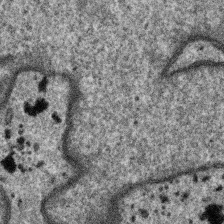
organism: Human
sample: Lung epithelial cells infected with SARS-CoV-2